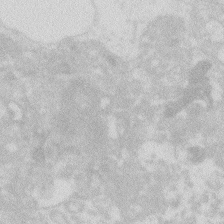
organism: Zebrafish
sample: Macrophage